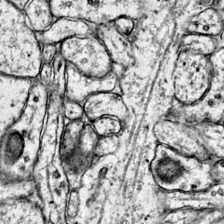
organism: Mouse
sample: Primary visual cortex